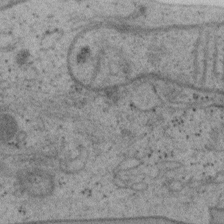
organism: Human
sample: HeLa cells